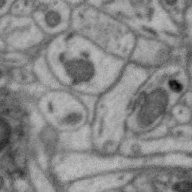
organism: Zebra finch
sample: Brain